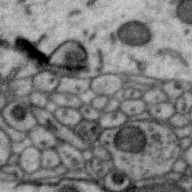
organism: Zebra finch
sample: Brain